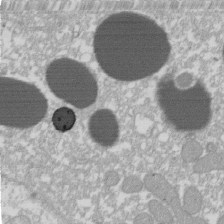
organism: Xenopus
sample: Cilia; centrioles in frog embryo cells